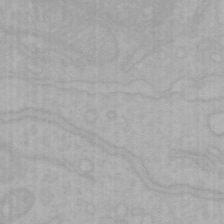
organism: Mouse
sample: Choroid plexus